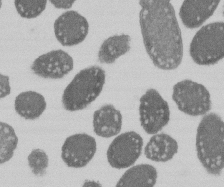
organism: E. coli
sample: Bacterial nucleoid